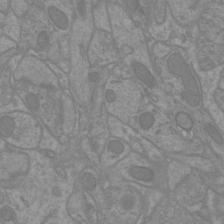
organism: Mouse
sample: Cortical neurons